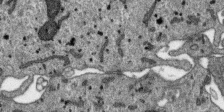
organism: Human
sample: Lung epithelial cells, uninfected (mock) control